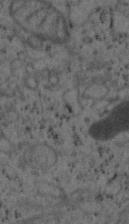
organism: Human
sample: HeLa cells